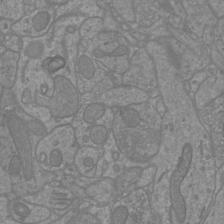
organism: Mouse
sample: Cortical neurons